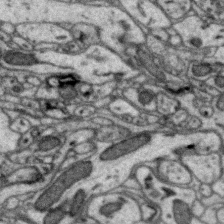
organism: Zebra finch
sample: Brain